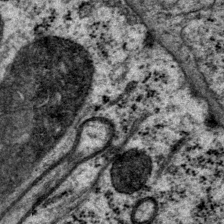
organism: P. pacificus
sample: Pharynx